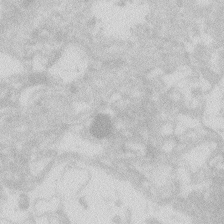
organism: Zebrafish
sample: Macrophage